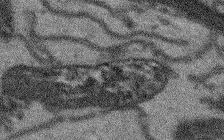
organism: Arabidopsis thaliana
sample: Root tip